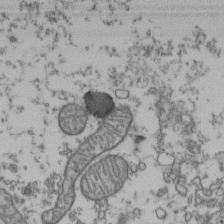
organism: Human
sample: Activated Jurkat CD4+ T cells